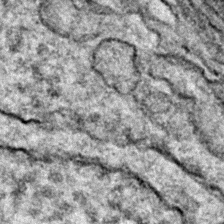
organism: Zebrafish